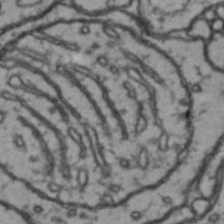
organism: Drosophila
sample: Brain